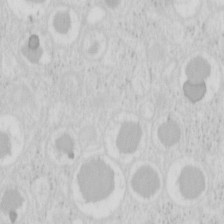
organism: Mouse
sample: Pancreas